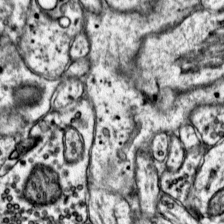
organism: Mouse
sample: Primary visual cortex